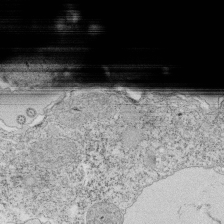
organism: Tetrahymena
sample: Cilia in tetrahymena